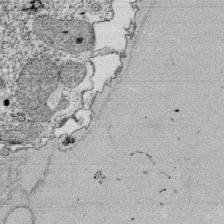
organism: Tetrahymena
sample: Cilia in tetrahymena